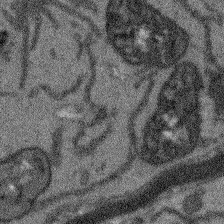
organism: Arabidopsis thaliana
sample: Root tip